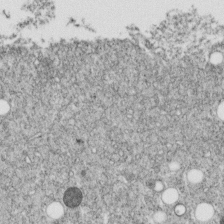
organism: C. elegans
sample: C. elegans embryo early stage